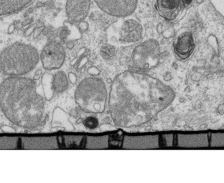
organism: Mouse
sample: Activated OT-1 CD8+ T cells